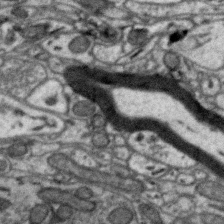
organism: Zebra finch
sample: Brain